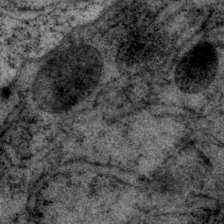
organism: P. pacificus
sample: Pharynx